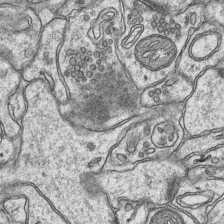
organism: Mouse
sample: CA1 Hippocampus